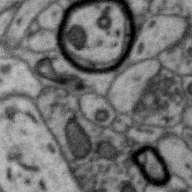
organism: Zebra finch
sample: Brain